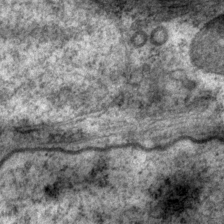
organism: P. pacificus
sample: Pharynx